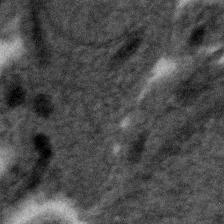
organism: Zebrafish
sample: Zebrafish embryo